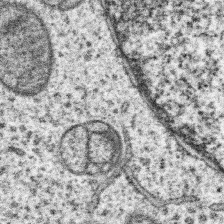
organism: Human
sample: HeLa cells